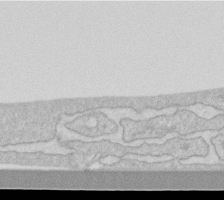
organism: Human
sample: Fibroblast cells